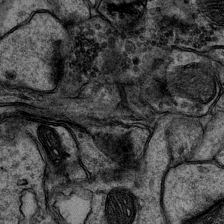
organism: Mouse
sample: CA1 Hippocampus